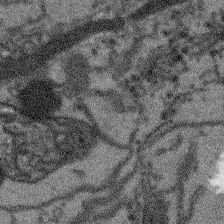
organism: Arabidopsis thaliana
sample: Root tip